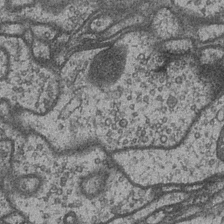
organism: Drosophila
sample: Optic medulla